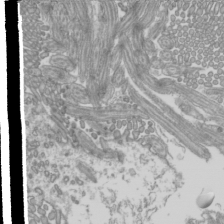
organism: Mouse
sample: Cilia; mouse epididymis